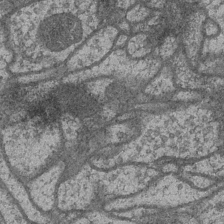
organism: Drosophila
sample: Optic medulla